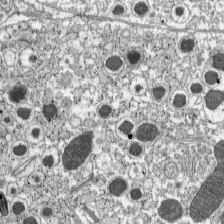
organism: C57BL Mouse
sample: Pancreatic islet